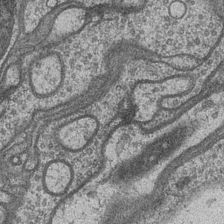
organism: Drosophila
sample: Optic medulla